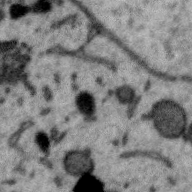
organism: Zebra finch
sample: Brain